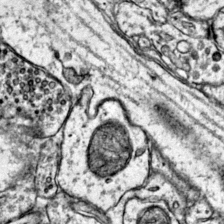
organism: Mouse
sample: Primary visual cortex